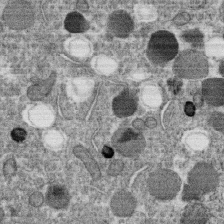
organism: C. elegans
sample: C. elegans oocyte; sperm cells